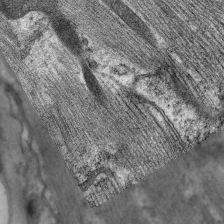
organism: C. elegans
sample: Pharynx